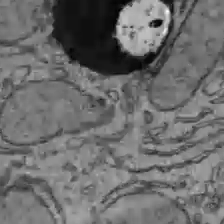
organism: C57BL Mouse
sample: Liver